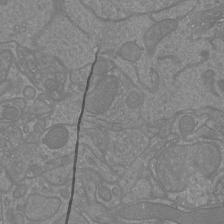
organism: Mouse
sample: Cortical neurons